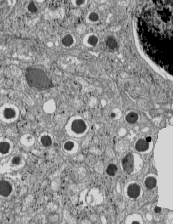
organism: C57BL Mouse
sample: Pancreatic islet